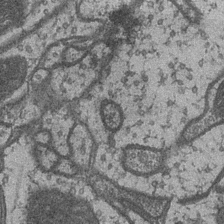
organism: Drosophila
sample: Optic medulla